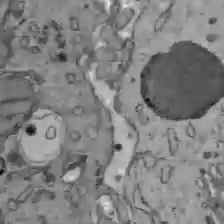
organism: C57BL Mouse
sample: Liver